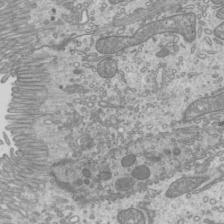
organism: Mouse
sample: Cilia; mouse epididymis